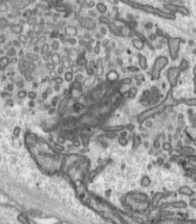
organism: Toxoplasma gondii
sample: Parasites in a vacuole inside a host cell